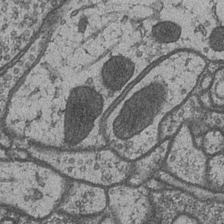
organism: Drosophila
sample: Optic medulla